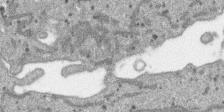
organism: Human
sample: Lung epithelial cells infected with SARS-CoV-2